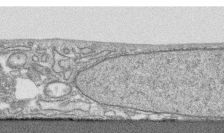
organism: Human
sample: CRL-1474